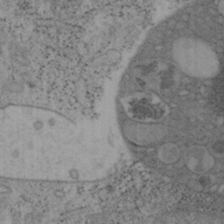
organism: Mouse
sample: OT-I killer T cells with ID8 ovarian cancer cells